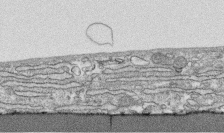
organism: Human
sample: CRL-1474